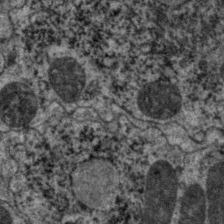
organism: C. elegans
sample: Pharynx